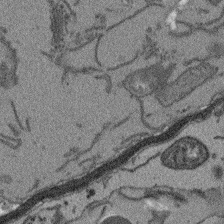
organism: Arabidopsis thaliana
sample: Root tip